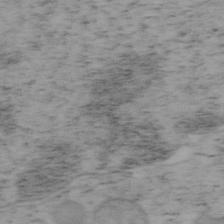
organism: Mouse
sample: OT-I killer T cells with ID8 ovarian cancer cells